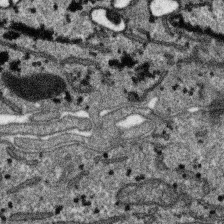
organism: Human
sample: Lung epithelial cells infected with SARS-CoV-2